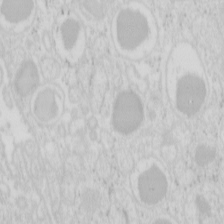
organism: Mouse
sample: Pancreas